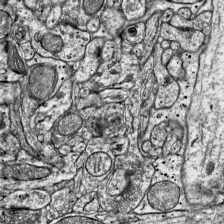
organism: Mouse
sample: Visual Cortex